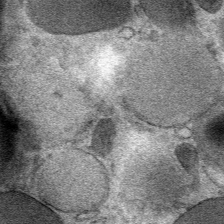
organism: Mouse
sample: Mouse Salivary gland